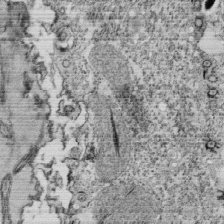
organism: Tetrahymena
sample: Cilia in tetrahymena